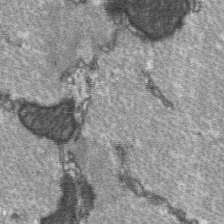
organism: C57BL Mouse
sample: Soleus